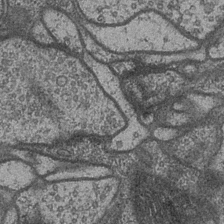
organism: Drosophila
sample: Optic medulla